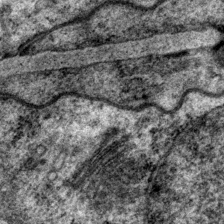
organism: P. pacificus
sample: Pharynx